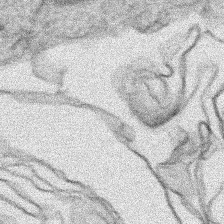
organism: Human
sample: Mitochondria in HCT116 cells